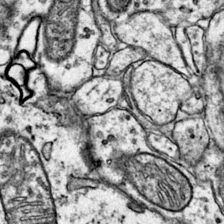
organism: Mouse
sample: Primary visual cortex